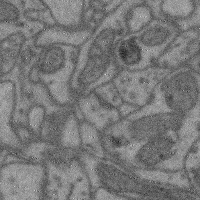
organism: Mouse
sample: Cerebral cortex